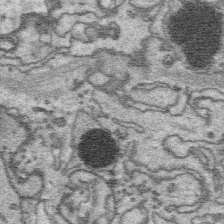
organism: Platynereis dumerilii